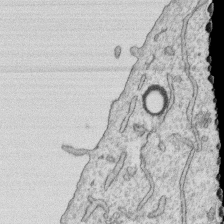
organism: Human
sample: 1205lu cells